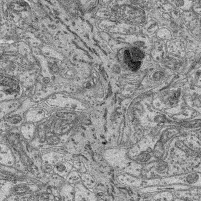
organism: Mouse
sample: Retina